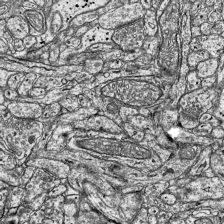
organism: Mouse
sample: Visual Cortex